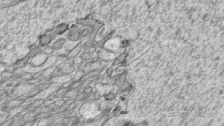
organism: Zebrafish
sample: synaptic ribbons in rod cells and cone cells